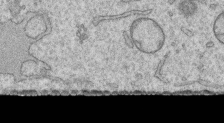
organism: Human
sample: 1205lu cells